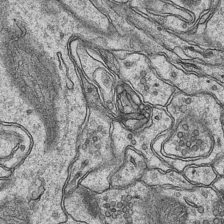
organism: Mouse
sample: CA1 Hippocampus